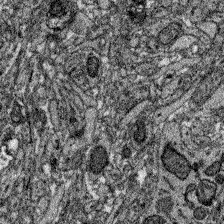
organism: Zebrafish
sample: Larval olfactory bulb